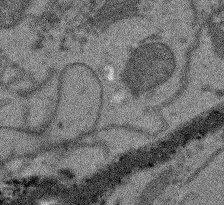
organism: Arabidopsis thaliana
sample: Root tip